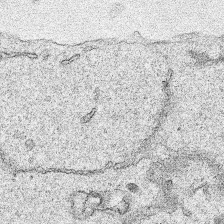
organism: Human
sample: Mitochondria in HCT116 cells